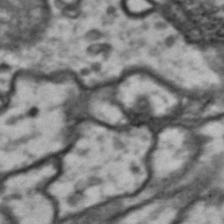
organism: Drosophila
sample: Brain